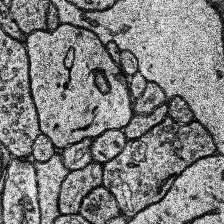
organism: Human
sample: Temporal Lobe